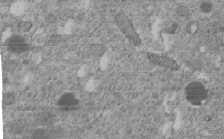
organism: C. elegans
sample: C. elegans embryo early stage